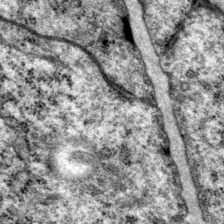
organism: P. pacificus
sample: Pharynx